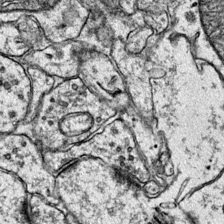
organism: Mouse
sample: Primary visual cortex